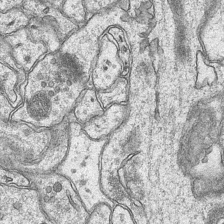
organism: Mouse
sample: CA1 Hippocampus